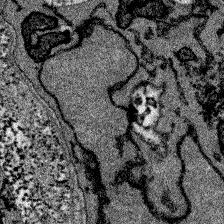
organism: Zebrafish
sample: Larval olfactory bulb